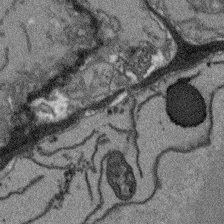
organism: Arabidopsis thaliana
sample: Root tip